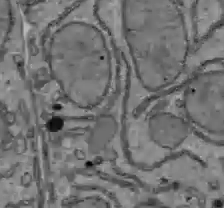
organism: C57BL Mouse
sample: Liver